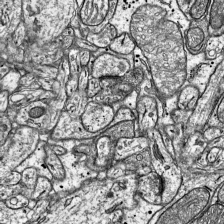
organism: Mouse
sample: Visual Cortex